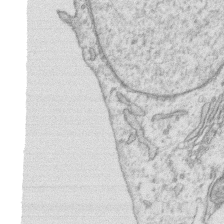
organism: Human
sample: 1205lu cells